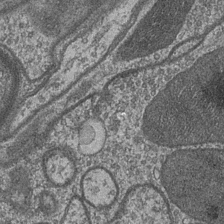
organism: Drosophila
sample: Optic medulla